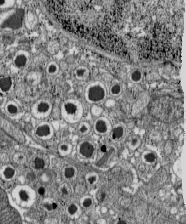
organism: C57BL Mouse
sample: Pancreatic islet